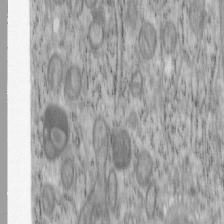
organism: Human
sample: HeLa cells